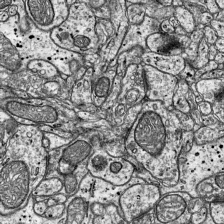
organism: Mouse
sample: Visual Cortex